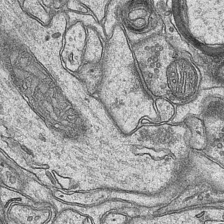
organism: Mouse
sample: CA1 Hippocampus